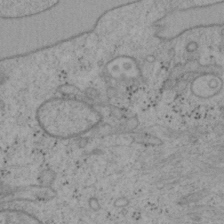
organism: Human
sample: HeLa cells